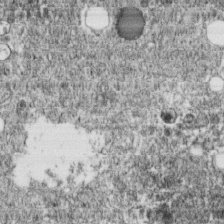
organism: C. elegans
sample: C. elegans embryo early stage